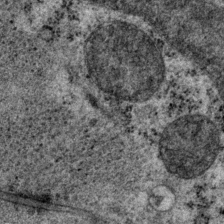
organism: P. pacificus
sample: Pharynx